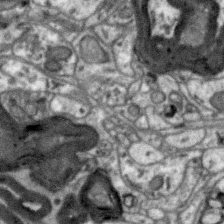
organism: Zebra finch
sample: Brain